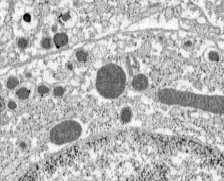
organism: C57BL Mouse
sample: Pancreatic islet